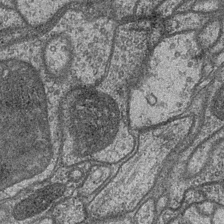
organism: Drosophila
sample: Optic medulla